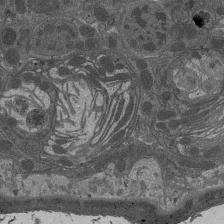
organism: Drosophila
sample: Antenna